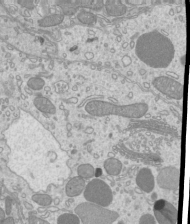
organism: Mouse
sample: Cilia; mouse epididymis